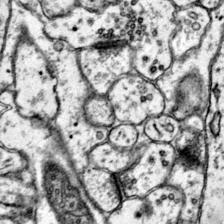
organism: Mouse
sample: Primary visual cortex